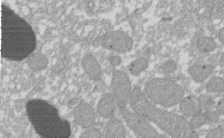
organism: Xenopus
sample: Cilia; centrioles in frog embryo cells